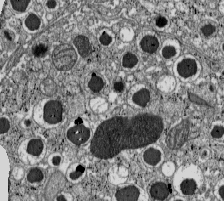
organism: C57BL Mouse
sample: Pancreatic islet